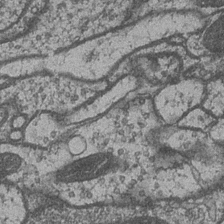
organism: Drosophila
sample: Optic medulla